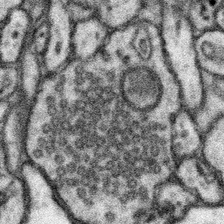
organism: Mouse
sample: Somatosensory cortex neuropil